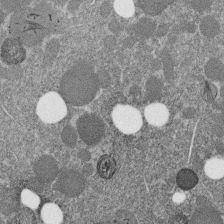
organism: C. elegans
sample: C. elegans embryo early stage